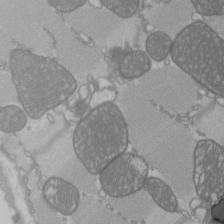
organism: C57BL Mouse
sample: Heart